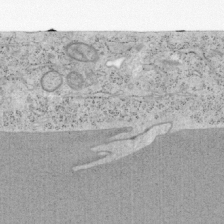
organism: Human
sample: HeLa cells